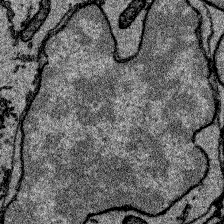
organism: Zebrafish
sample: Larval olfactory bulb